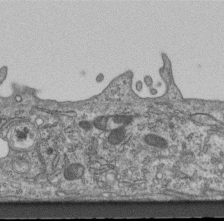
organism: Mouse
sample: Centriole in ependymal cells